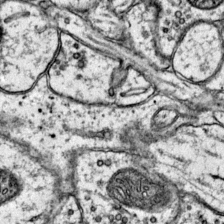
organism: Mouse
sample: Primary visual cortex